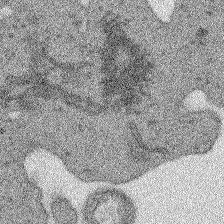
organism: Human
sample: HeLa cells